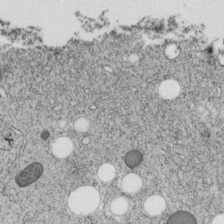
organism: C. elegans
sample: C. elegans embryo early stage